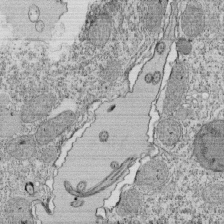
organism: Tetrahymena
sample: Cilia in tetrahymena